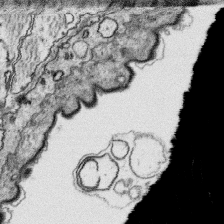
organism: Platynereis dumerilii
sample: Parapodia